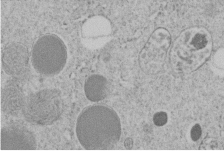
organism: C. elegans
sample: C. elegans embryo early stage